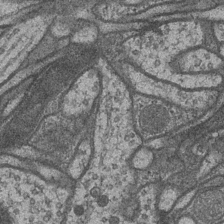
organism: Drosophila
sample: Optic medulla